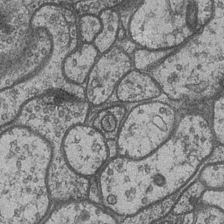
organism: Drosophila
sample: Optic medulla